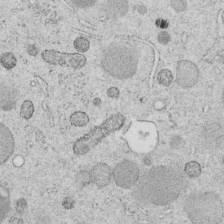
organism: C. elegans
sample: C. elegans embryo early stage